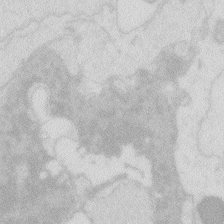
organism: Zebrafish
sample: Macrophage